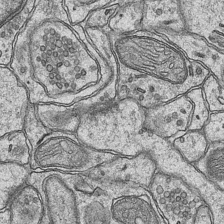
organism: Mouse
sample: CA1 Hippocampus